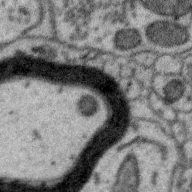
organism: Zebra finch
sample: Brain